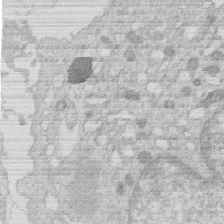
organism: Human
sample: Macrophage cells